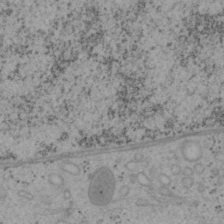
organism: Human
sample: HeLa cells